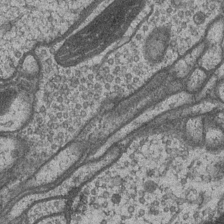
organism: Drosophila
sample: Optic medulla